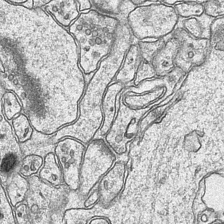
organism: Mouse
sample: CA1 Hippocampus